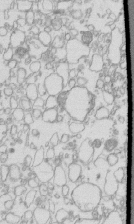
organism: Mouse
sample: Macrophages